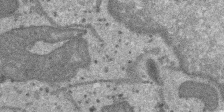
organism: Human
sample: Lung epithelial cells infected with SARS-CoV-2